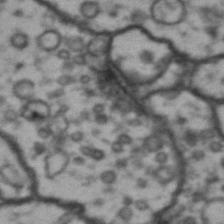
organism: Drosophila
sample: Brain